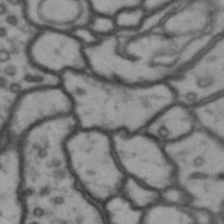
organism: Drosophila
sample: Brain